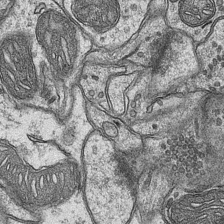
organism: Mouse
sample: CA1 Hippocampus